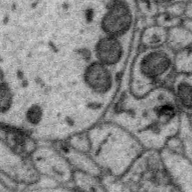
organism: Zebra finch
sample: Brain